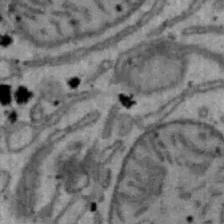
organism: Mouse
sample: Liver